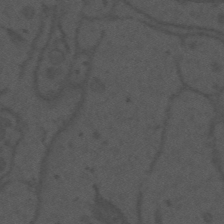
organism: Mouse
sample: Suprachiasmatic nucleus